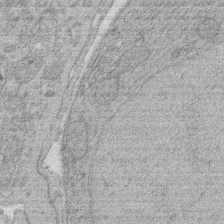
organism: Rat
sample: Salivary granule